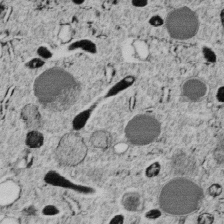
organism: C. elegans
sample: C. elegans embryo early stage